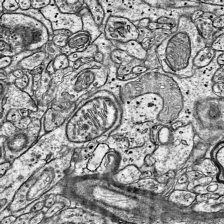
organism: Mouse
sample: Visual Cortex